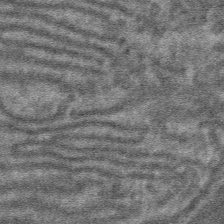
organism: Mouse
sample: Mouse hepatocytes